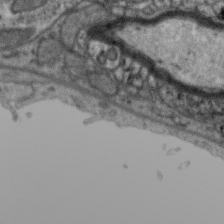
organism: Zebra finch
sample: Brain